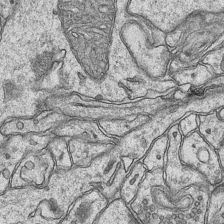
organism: Mouse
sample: CA1 Hippocampus